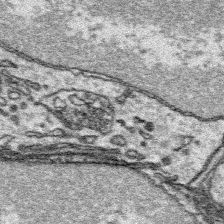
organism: Platynereis dumerilii